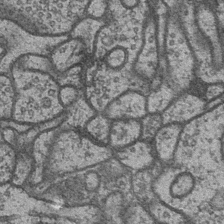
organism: Drosophila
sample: Optic medulla